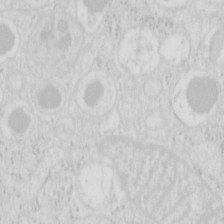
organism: Mouse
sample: Pancreas